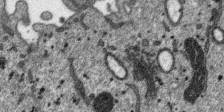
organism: Human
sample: Lung epithelial cells infected with SARS-CoV-2